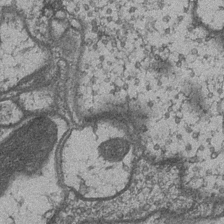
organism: Drosophila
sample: Optic medulla